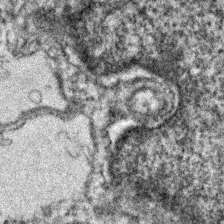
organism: Zebrafish